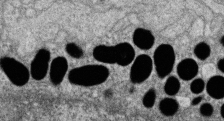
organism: Zebrafish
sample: Cilia; retinal pigment epithelium